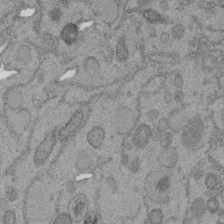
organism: C. elegans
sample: C. elegans embryo early stage